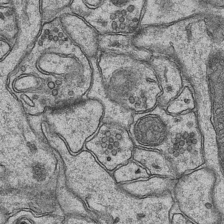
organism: Mouse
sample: CA1 Hippocampus